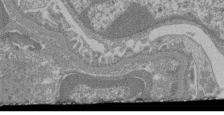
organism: Mouse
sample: Glomerulus